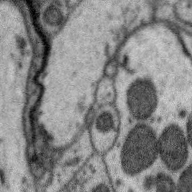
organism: Zebra finch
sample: Brain